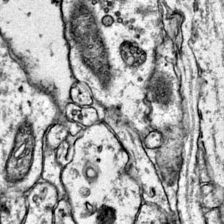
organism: Mouse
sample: Primary visual cortex